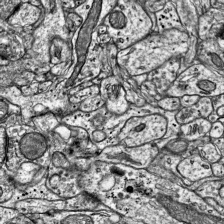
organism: Mouse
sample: Visual Cortex